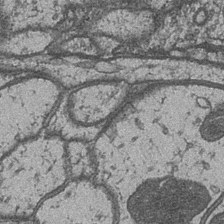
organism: Drosophila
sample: Optic medulla